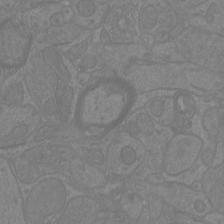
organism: Mouse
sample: Cortical neurons